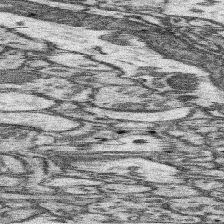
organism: Mouse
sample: Somatosensory cortex neuropil